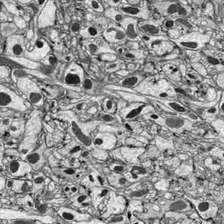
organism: Drosophila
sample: Optic lobe